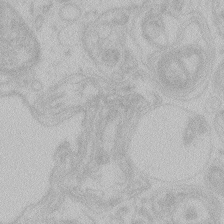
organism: Zebrafish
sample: Macrophage infected with Toxoplasma gondii